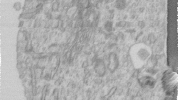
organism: Human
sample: Centriole in RPE cells